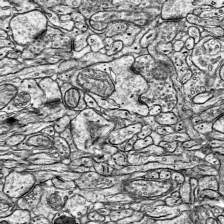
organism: Mouse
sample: Visual Cortex